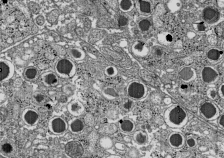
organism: C57BL Mouse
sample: Pancreatic islet